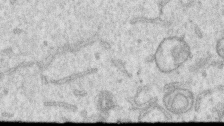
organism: Human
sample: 1205lu cells